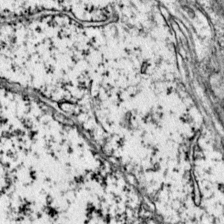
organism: Mouse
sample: Primary visual cortex